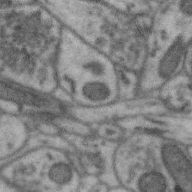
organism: Zebra finch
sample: Brain